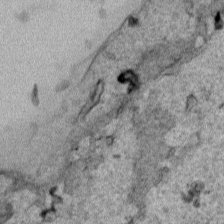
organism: Human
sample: Mitochondria in HCT116 cells